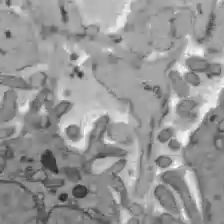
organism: C57BL Mouse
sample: Liver